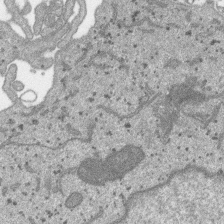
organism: Human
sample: Lung epithelial cells infected with SARS-CoV-2